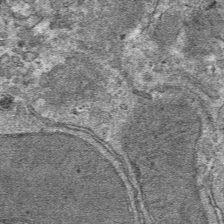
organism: Mouse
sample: Mouse hepatocytes